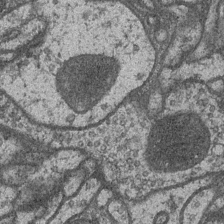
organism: Drosophila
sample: Optic medulla